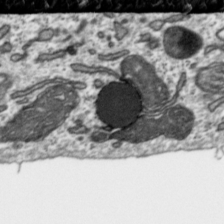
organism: Toxoplasma gondii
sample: Parasites in a vacuole inside a host cell